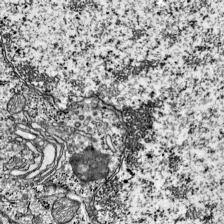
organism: Mouse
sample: Visual Cortex